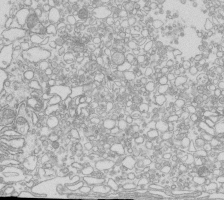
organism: Mouse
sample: Macrophages